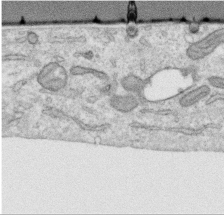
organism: Human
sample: Centriole in RPE cells